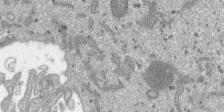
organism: Human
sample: Lung epithelial cells infected with SARS-CoV-2